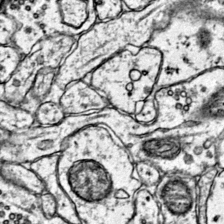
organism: Mouse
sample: Primary visual cortex